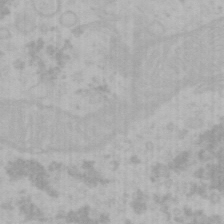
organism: Mouse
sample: Choroid plexus